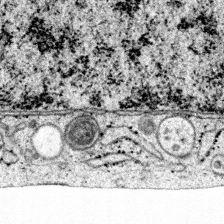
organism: Human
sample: HeLa cells